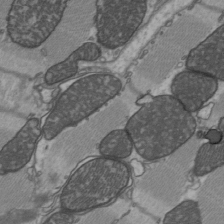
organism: C57BL Mouse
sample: Heart